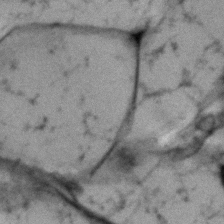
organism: Human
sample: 1205lu cells